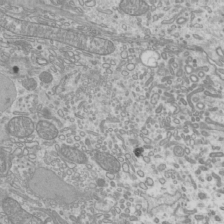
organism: Mouse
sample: Cilia; mouse epididymis